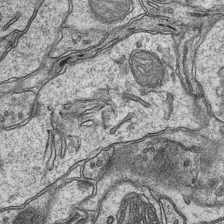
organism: Mouse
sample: CA1 Hippocampus